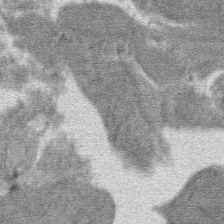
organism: Mouse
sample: Mouse hepatocytes